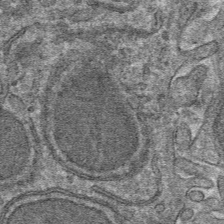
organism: Mouse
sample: Mouse hepatocytes